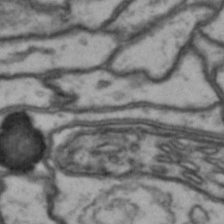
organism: Drosophila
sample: Brain